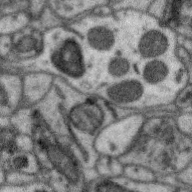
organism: Zebra finch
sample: Brain